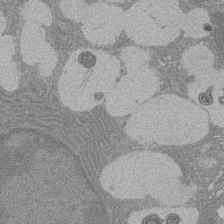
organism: Rat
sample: Salivary granule